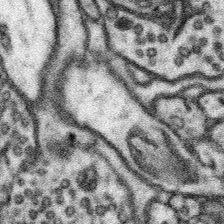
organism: Mouse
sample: Somatosensory cortex neuropil